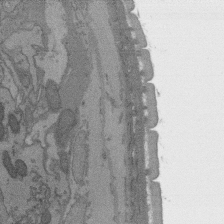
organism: C. elegans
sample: AFD neurons C. elegans